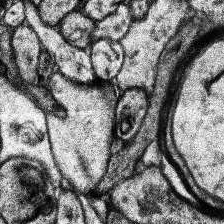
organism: Human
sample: Temporal Lobe